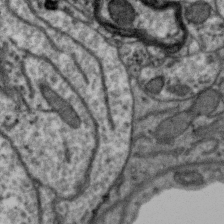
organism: Zebra finch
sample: Brain